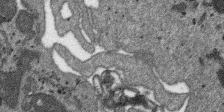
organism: Human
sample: Lung epithelial cells infected with SARS-CoV-2